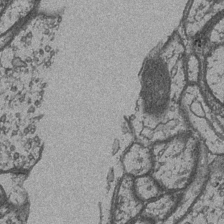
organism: Drosophila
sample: Optic medulla